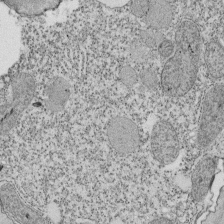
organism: Tetrahymena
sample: Cilia in tetrahymena